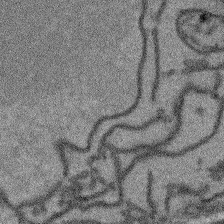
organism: Arabidopsis thaliana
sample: Root tip